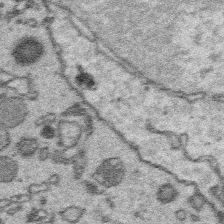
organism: Platynereis dumerilii